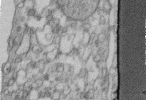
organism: Human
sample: Centriole in fibroblast cells